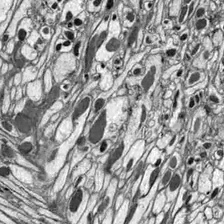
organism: Drosophila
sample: Optic lobe